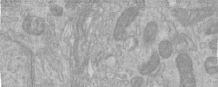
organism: Human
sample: Centriole in RPE cells